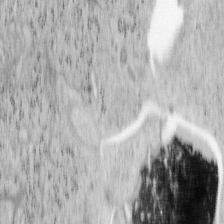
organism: Human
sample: HeLa cells